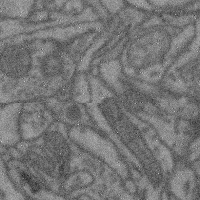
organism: Mouse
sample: Cerebral cortex